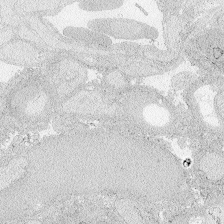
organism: Zebrafish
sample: Whole-Brain